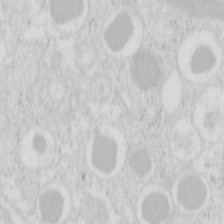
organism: Mouse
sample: Pancreas